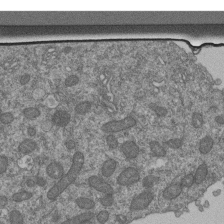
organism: Human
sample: Retinal organoid Rod and Cone cells